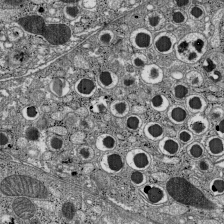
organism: C57BL Mouse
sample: Pancreatic islet